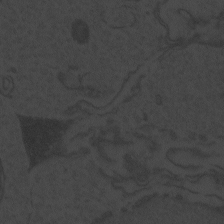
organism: Zebrafish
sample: Macrophage infected with Toxoplasma gondii